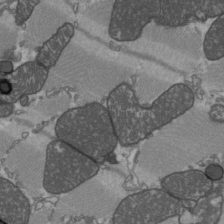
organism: C57BL Mouse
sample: Heart